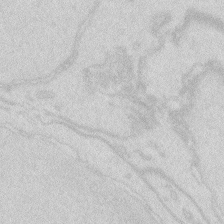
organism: Zebrafish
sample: Macrophage